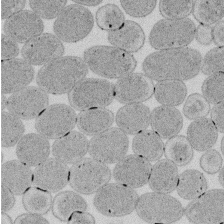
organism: E. coli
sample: Bacterial nucleoid